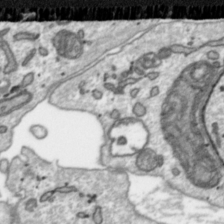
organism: Toxoplasma gondii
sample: Parasites in a vacuole inside a host cell